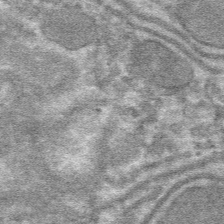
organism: Mouse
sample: Mouse hepatocytes